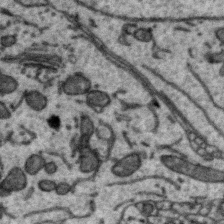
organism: Zebra finch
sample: Brain